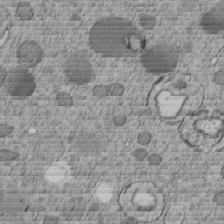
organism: C. elegans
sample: C. elegans embryo early stage